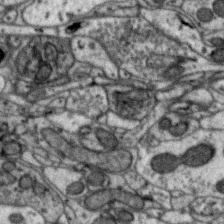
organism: Zebra finch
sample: Brain